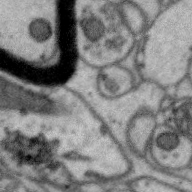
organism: Zebra finch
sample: Brain